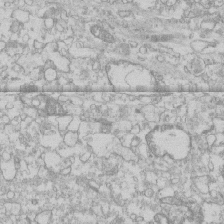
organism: Human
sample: CRL-1474